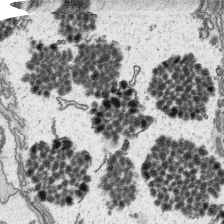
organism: Platynereis dumerilii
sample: Parapodia